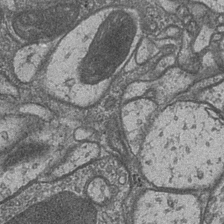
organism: Drosophila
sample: Optic medulla